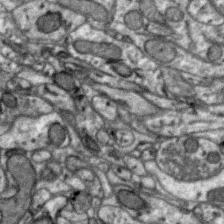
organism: Zebra finch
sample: Brain